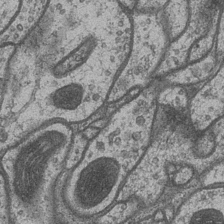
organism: Drosophila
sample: Optic medulla